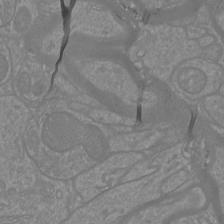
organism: Mouse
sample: Cortical neurons